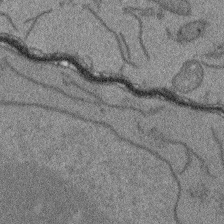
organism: Arabidopsis thaliana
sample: Root tip